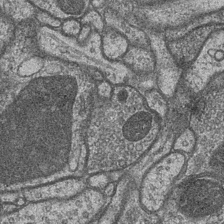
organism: Drosophila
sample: Optic medulla